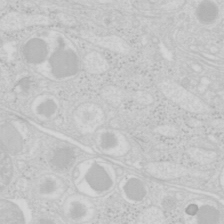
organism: Mouse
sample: Pancreas